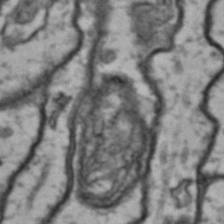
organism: Drosophila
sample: Brain